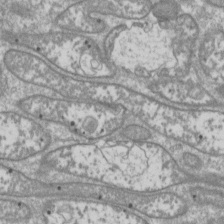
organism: Drosophila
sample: Cell division; meiosis; drosophila spermatocytes